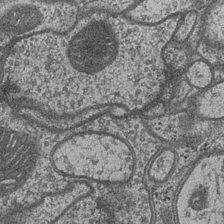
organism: Drosophila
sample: Optic medulla